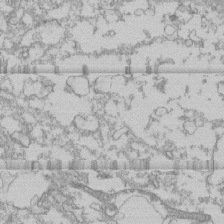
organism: Human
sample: CRL-1474